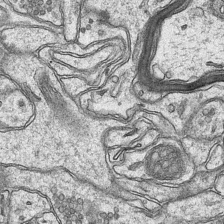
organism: Mouse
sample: CA1 Hippocampus